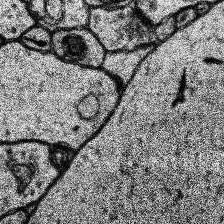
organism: Human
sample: Temporal Lobe